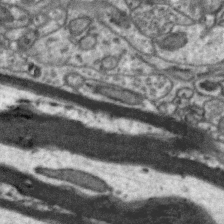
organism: Zebra finch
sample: Brain